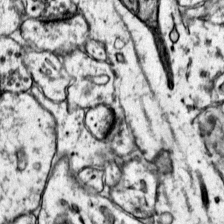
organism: Mouse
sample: Primary visual cortex